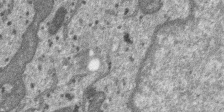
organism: Human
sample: Lung epithelial cells infected with SARS-CoV-2